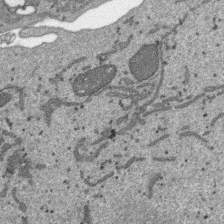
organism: Human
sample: Lung epithelial cells infected with SARS-CoV-2